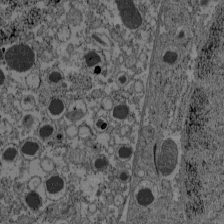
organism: C57BL Mouse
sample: Pancreatic islet